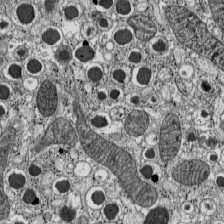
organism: C57BL Mouse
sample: Pancreatic islet